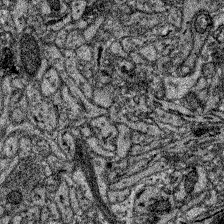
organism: Zebrafish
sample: Larval olfactory bulb